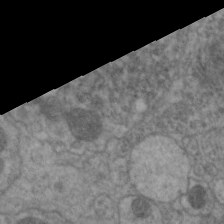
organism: C. elegans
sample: Pharynx